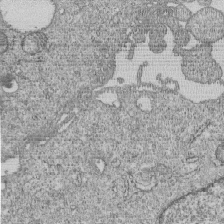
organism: Human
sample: MDA-MB-231 cells